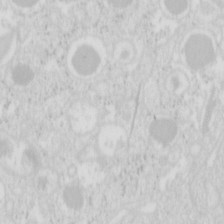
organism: Mouse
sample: Pancreas